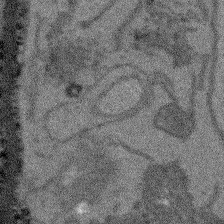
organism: Arabidopsis thaliana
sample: Root tip